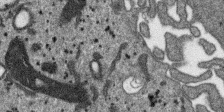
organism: Human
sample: Lung epithelial cells infected with SARS-CoV-2